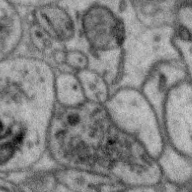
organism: Zebra finch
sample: Brain